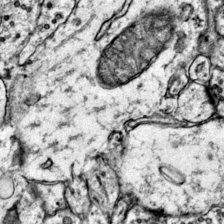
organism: Mouse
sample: Primary visual cortex